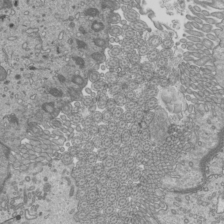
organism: Mouse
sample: Cilia; mouse epididymis